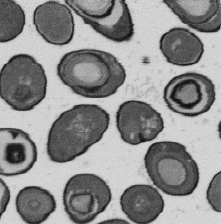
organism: B. subtilis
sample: Bacterial spore